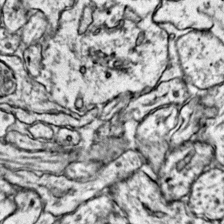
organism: Mouse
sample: Primary visual cortex